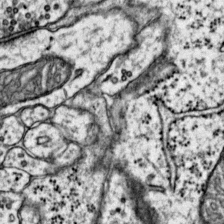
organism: Mouse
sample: Primary visual cortex